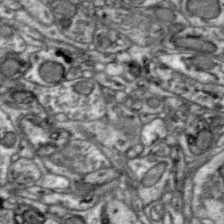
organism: Zebra finch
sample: Brain